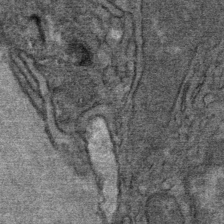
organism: Mouse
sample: Mouse Salivary gland